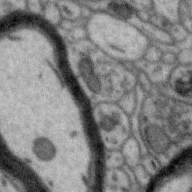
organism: Zebra finch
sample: Brain